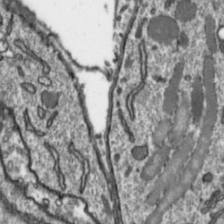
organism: Toxoplasma gondii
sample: Parasites in a vacuole inside a host cell